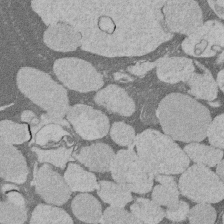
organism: Rat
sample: Salivary granule